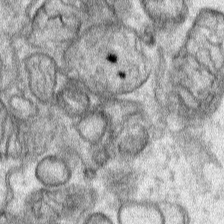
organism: Human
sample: Mitochondria in HCT116 cells